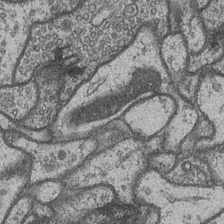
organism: Drosophila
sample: Optic medulla